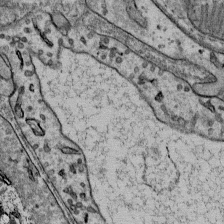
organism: Mouse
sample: Mouse Salivary gland